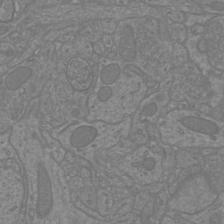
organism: Mouse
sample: Cortical neurons